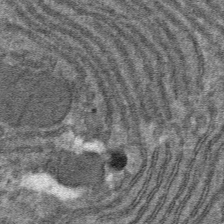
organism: Mouse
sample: Mouse hepatocytes